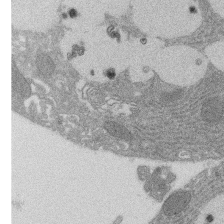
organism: Rat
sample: Salivary granule